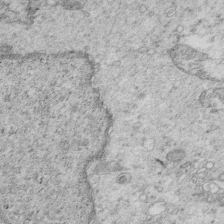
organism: Mouse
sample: Multiciliated cells